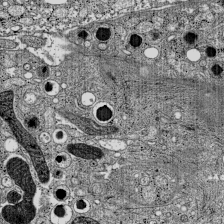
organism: C57BL Mouse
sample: Pancreatic islet